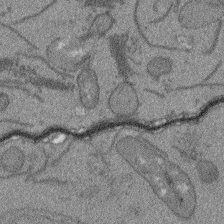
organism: Arabidopsis thaliana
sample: Root tip